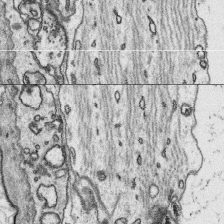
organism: Platynereis dumerilii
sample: Parapodia